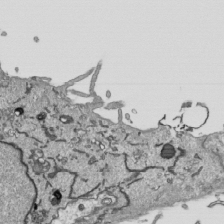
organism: Human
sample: Mitochondria in HCT116 cells